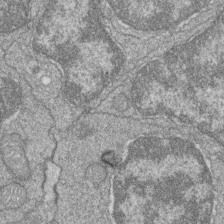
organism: Zebrafish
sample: Cilia; retinal pigment epithelium